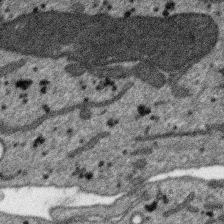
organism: Human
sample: Lung epithelial cells infected with SARS-CoV-2